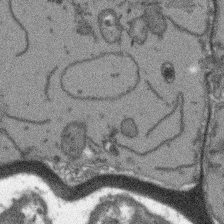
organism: Arabidopsis thaliana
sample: Root tip